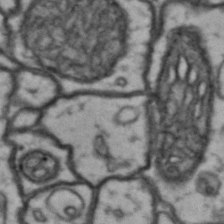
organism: Drosophila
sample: Brain